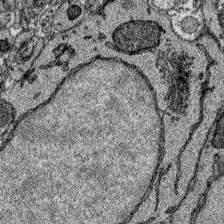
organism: Zebrafish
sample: Larval olfactory bulb